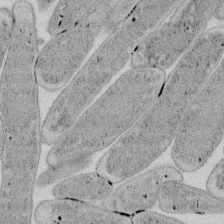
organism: E. coli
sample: Bacterial nucleoid